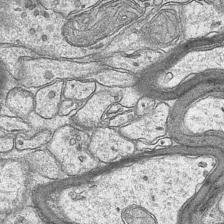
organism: Mouse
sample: CA1 Hippocampus